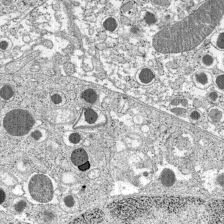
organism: C57BL Mouse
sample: Pancreatic islet